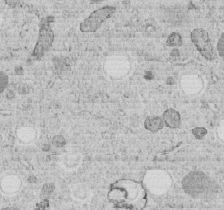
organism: C. elegans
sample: C. elegans embryo early stage